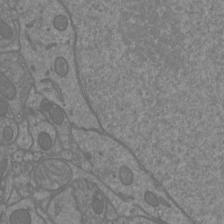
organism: Mouse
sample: Cortical neurons